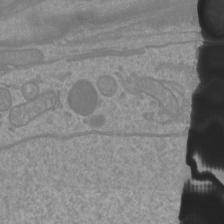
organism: Mouse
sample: Cortical neurons